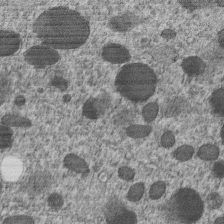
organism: C. elegans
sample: C. elegans embryo early stage